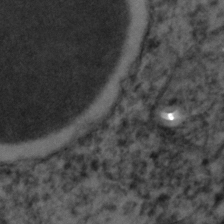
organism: C. elegans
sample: C. elegans embryo